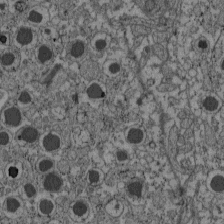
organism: C57BL Mouse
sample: Pancreatic islet